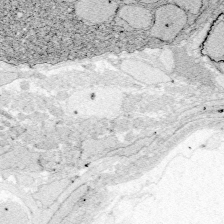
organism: Zebrafish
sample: Whole-Brain